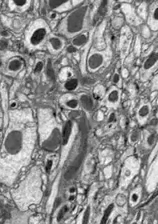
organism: Drosophila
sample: Optic lobe